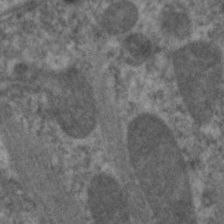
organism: C. elegans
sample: Pharynx